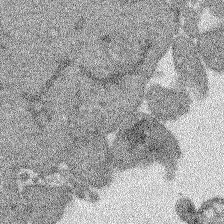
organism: Human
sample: HeLa cells